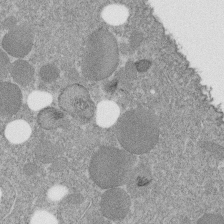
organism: C. elegans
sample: C. elegans embryo early stage